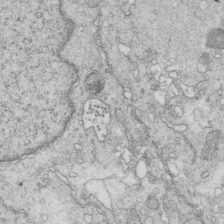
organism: Mouse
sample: Multiciliated cells